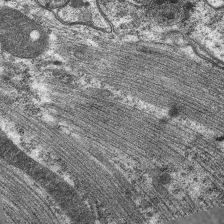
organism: C. elegans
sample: Pharynx